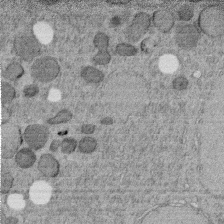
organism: C. elegans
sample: C. elegans embryo early stage